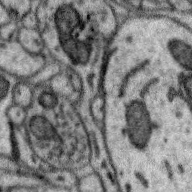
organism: Zebra finch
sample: Brain